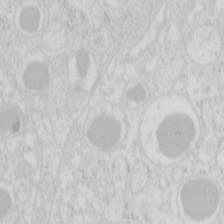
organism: Mouse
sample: Pancreas